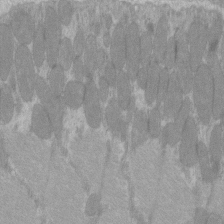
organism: C57BL Mouse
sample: Tibialis anterior muscle cell